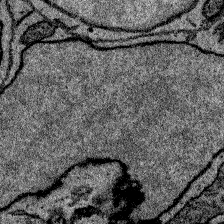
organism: Zebrafish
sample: Larval olfactory bulb